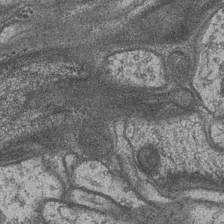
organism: Drosophila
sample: Optic medulla